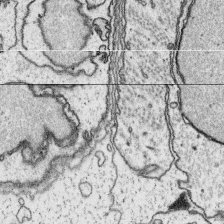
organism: Platynereis dumerilii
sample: Parapodia